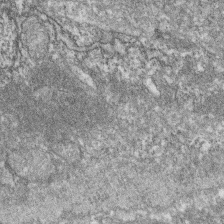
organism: Zebrafish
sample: Cilia; retinal pigment epithelium